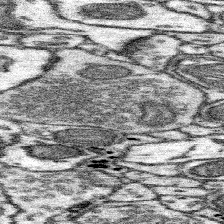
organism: Mouse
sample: Somatosensory cortex neuropil